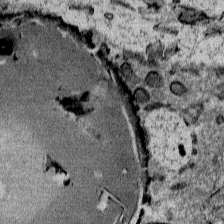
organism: Mouse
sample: Mouse Salivary gland